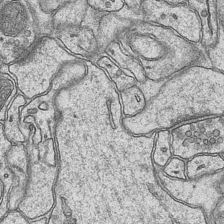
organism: Mouse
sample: CA1 Hippocampus